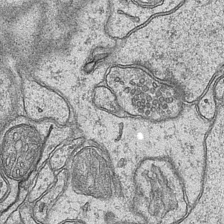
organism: Mouse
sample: CA1 Hippocampus